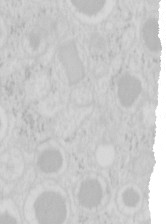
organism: Mouse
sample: Pancreas